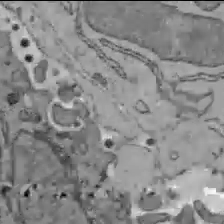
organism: C57BL Mouse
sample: Liver